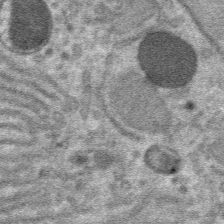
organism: Mouse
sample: Mouse hepatocytes